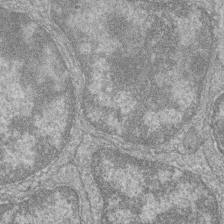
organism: Zebrafish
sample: Cilia; retinal pigment epithelium